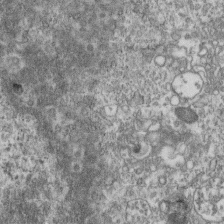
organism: Mouse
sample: Centriole in ependymal cells